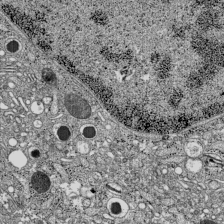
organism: C57BL Mouse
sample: Pancreatic islet